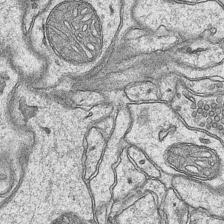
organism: Mouse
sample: CA1 Hippocampus